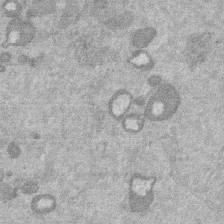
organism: Mouse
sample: Dividing mouse embryo 1 cell stage